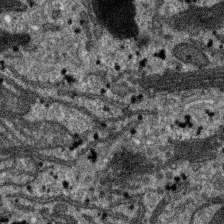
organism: Human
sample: Lung epithelial cells infected with SARS-CoV-2